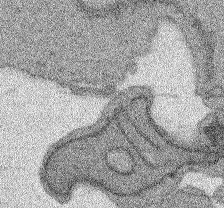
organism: Human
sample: HeLa cells